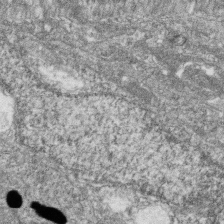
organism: Zebrafish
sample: Cilia; retinal pigment epithelium